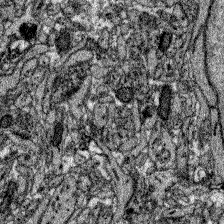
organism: Zebrafish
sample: Larval olfactory bulb